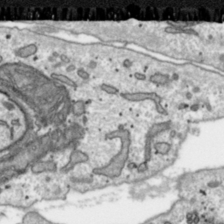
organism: Toxoplasma gondii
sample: Parasites in a vacuole inside a host cell